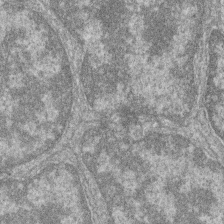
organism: Zebrafish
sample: Cilia; retinal pigment epithelium